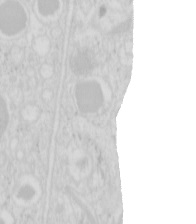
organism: Mouse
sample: Pancreas